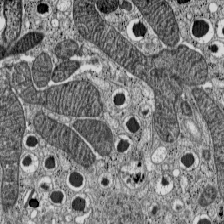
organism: C57BL Mouse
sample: Pancreatic islet